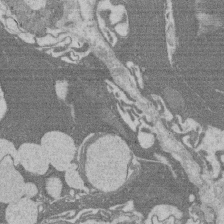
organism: Rat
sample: Salivary granule